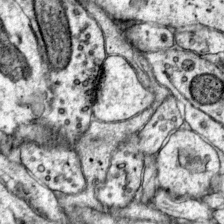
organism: Mouse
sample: Primary visual cortex